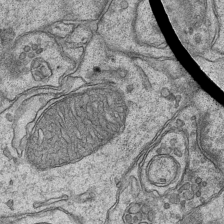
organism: Mouse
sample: CA1 Hippocampus